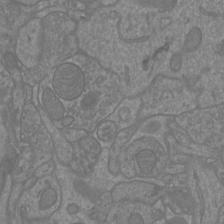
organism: Mouse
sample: Cortical neurons